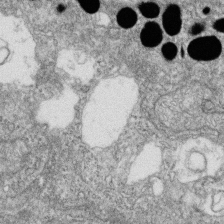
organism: Zebrafish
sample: Cilia; retinal pigment epithelium